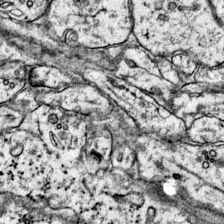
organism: Mouse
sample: Primary visual cortex